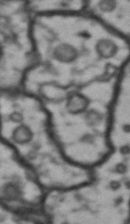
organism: Drosophila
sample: Brain